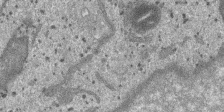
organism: Human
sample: Lung epithelial cells infected with SARS-CoV-2